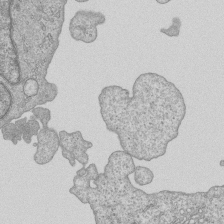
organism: Human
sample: MDA-MB-231 cells